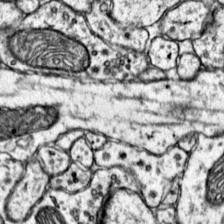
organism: Mouse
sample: Primary visual cortex